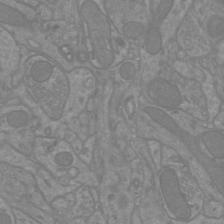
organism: Mouse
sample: Cortical neurons